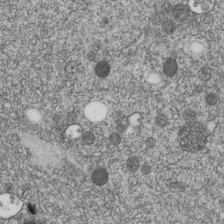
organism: C. elegans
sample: C. elegans embryo early stage